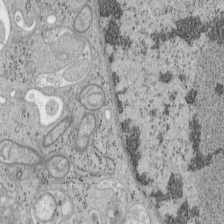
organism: Mouse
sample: OT-I killer T cells with ID8 ovarian cancer cells